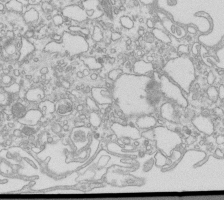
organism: Mouse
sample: Macrophages